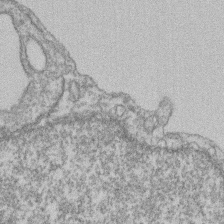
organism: Mouse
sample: T cell stromal cell synapse